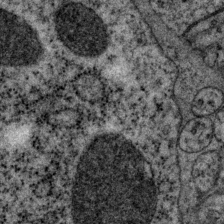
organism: P. pacificus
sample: Pharynx